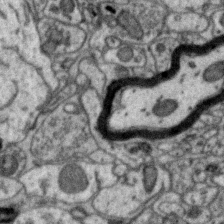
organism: Zebra finch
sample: Brain